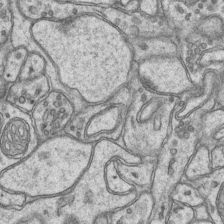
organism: Mouse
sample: CA1 Hippocampus